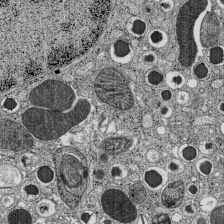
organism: C57BL Mouse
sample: Pancreatic islet